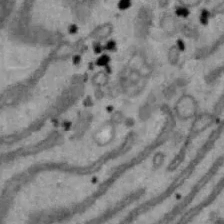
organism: Mouse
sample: Liver